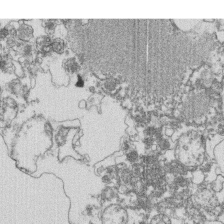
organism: Human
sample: HeLa cell HIV synapse